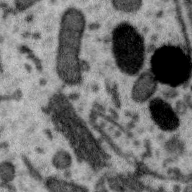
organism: Zebra finch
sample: Brain